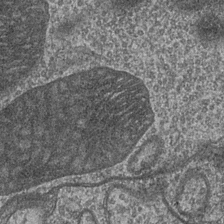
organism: Drosophila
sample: Optic medulla